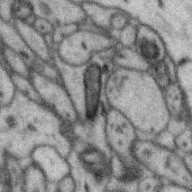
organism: Zebra finch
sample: Brain